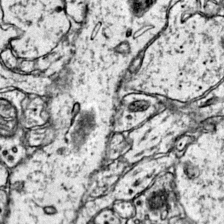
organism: Mouse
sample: Primary visual cortex